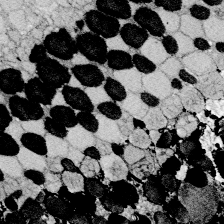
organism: Zebrafish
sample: Whole-Brain